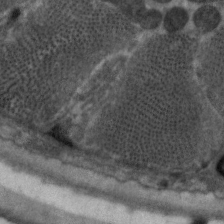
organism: C. elegans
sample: Pharynx